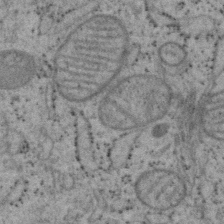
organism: Human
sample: HeLa cells